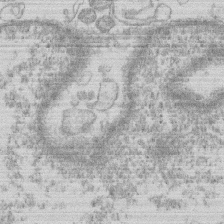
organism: Human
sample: Macrophage cells